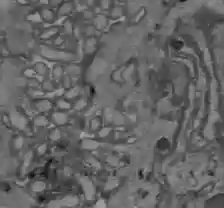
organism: C57BL Mouse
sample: Liver